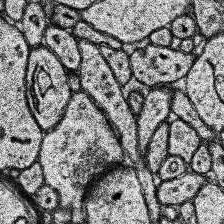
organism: Human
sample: Temporal Lobe